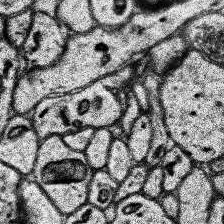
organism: Human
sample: Temporal Lobe